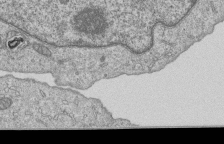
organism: Human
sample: MDA-MB-231 cells